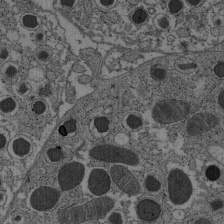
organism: C57BL Mouse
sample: Pancreatic islet